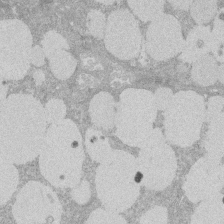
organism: Rat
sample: Salivary granule